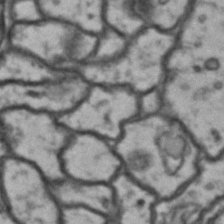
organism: Drosophila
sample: Brain